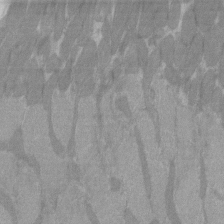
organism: C57BL Mouse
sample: Tibialis anterior muscle cell